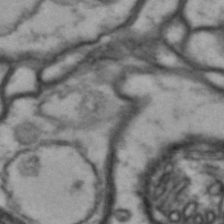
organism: Drosophila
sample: Brain